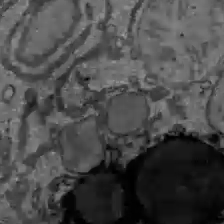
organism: C57BL Mouse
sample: Liver